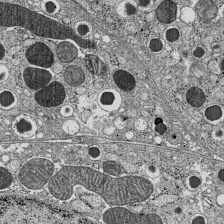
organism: C57BL Mouse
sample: Pancreatic islet